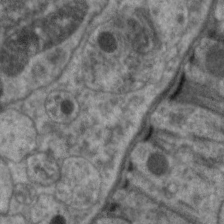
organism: C. elegans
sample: Pharynx